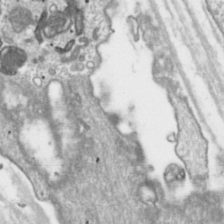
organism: Toxoplasma gondii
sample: Parasites in a vacuole inside a host cell